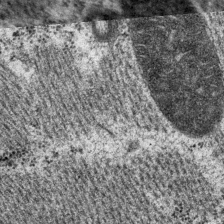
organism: P. pacificus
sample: Pharynx